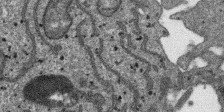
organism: Human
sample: Lung epithelial cells infected with SARS-CoV-2